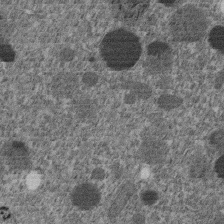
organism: C. elegans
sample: C. elegans embryo early stage